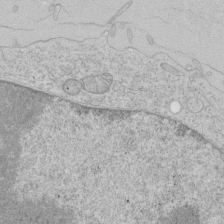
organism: Human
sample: Mitochondria in HCT116 cells